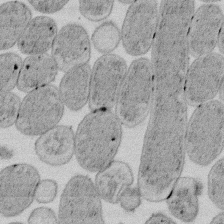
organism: E. coli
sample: Bacterial nucleoid